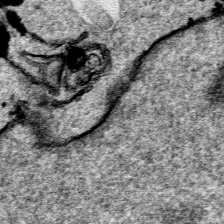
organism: Human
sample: Mitochondria in HCT116 cells